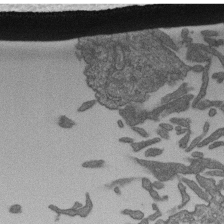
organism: Human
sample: Retinal organoid Rod and Cone cells